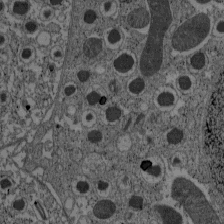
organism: C57BL Mouse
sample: Pancreatic islet